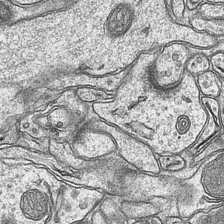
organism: Mouse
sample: CA1 Hippocampus